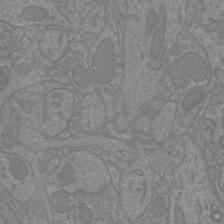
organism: Mouse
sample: Cortical neurons